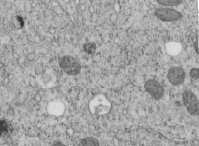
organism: C. elegans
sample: C. elegans embryo early stage